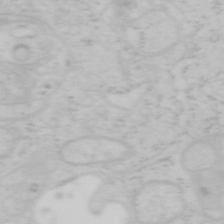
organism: Mouse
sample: OT-I killer T cells with ID8 ovarian cancer cells